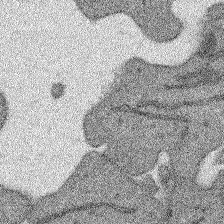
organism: Human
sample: HeLa cells